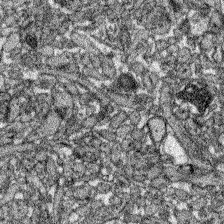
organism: Zebrafish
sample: Larval olfactory bulb